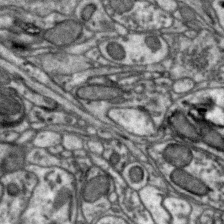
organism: Zebra finch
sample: Brain